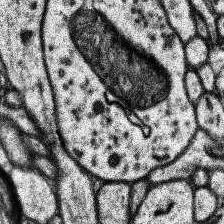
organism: Human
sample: Temporal Lobe